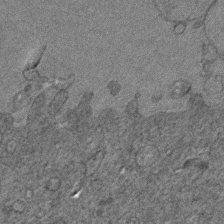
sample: Trachea